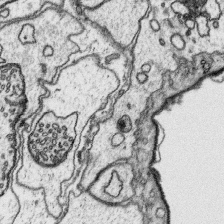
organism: Platynereis dumerilii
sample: Parapodia